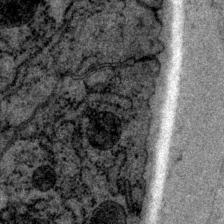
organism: P. pacificus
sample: Pharynx